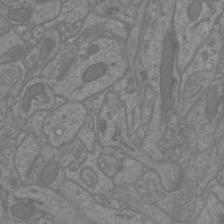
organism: Mouse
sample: Cortical neurons